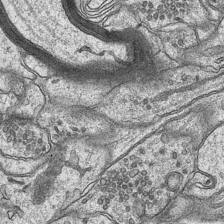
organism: Mouse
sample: CA1 Hippocampus